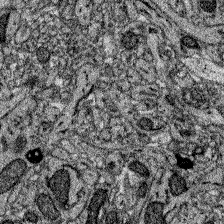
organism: Zebrafish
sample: Larval olfactory bulb